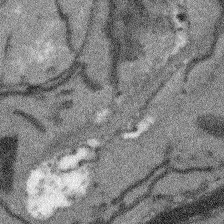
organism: Arabidopsis thaliana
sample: Root tip